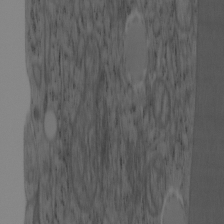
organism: Human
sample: HeLa cells